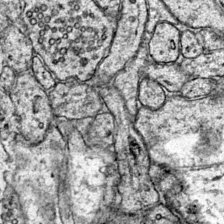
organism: Mouse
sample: Primary visual cortex